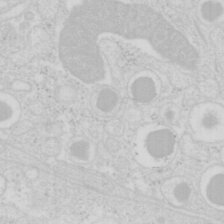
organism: Mouse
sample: Pancreas